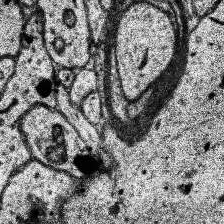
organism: Human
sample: Temporal Lobe